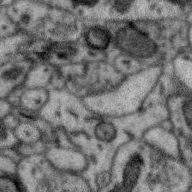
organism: Zebra finch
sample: Brain